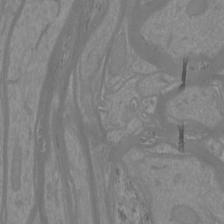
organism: Mouse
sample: Cortical neurons